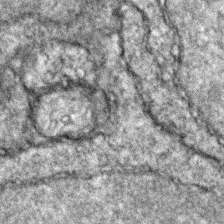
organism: Zebrafish